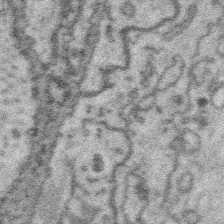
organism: Platynereis dumerilii